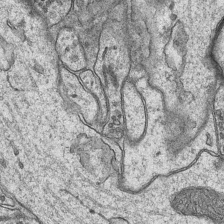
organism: Mouse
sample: CA1 Hippocampus